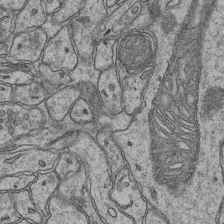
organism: Mouse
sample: CA1 Hippocampus